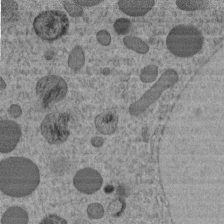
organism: C. elegans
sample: C. elegans embryo early stage